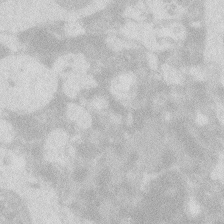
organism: Zebrafish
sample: Macrophage